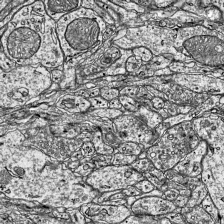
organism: Mouse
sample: Visual Cortex